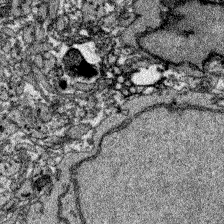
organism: Zebrafish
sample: Larval olfactory bulb